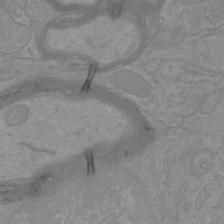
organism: Mouse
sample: Cortical neurons